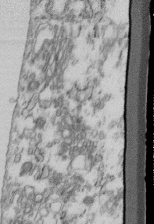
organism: Mouse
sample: Cilia; retinal pigment epithelium